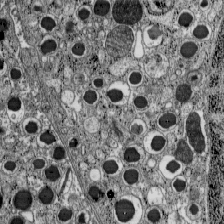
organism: C57BL Mouse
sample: Pancreatic islet